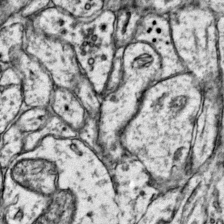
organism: Mouse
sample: Primary visual cortex